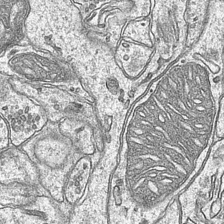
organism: Mouse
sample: CA1 Hippocampus